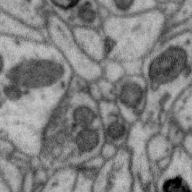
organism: Zebra finch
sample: Brain